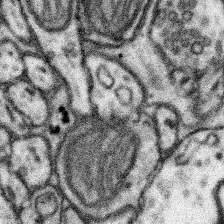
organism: Mouse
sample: Somatosensory cortex neuropil